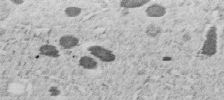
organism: C. elegans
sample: C. elegans embryo early stage